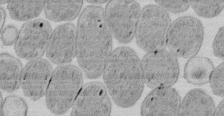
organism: E. coli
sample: Bacterial nucleoid